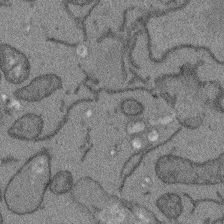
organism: Arabidopsis thaliana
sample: Root tip